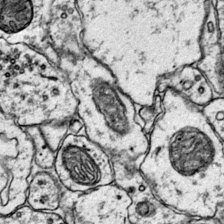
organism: Mouse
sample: Primary visual cortex